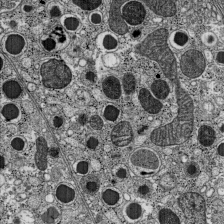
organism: C57BL Mouse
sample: Pancreatic islet